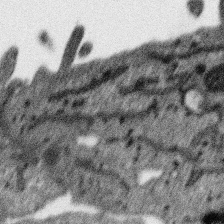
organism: Human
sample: Lung epithelial cells infected with SARS-CoV-2